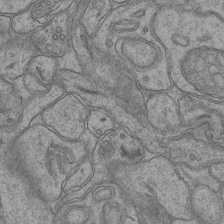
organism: Mouse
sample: CA1 Hippocampus